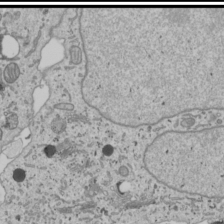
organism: Human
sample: Mitochondria in U2OS cells